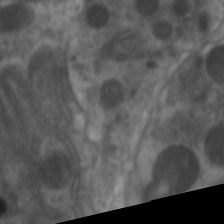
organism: C. elegans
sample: Pharynx